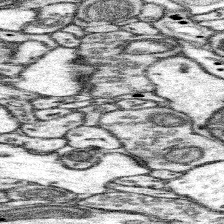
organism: Mouse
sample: Somatosensory cortex neuropil